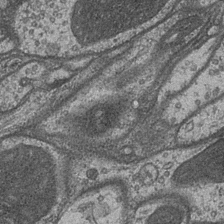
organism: Drosophila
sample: Optic medulla